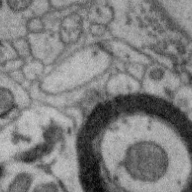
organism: Zebra finch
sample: Brain